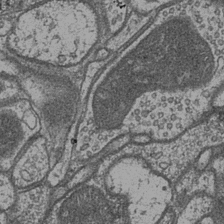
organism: Drosophila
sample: Optic medulla